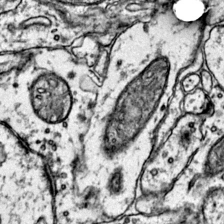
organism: Mouse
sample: Primary visual cortex